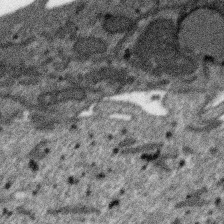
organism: Human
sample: Lung epithelial cells infected with SARS-CoV-2